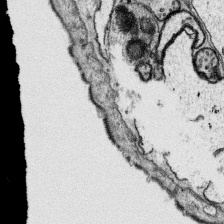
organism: Platynereis dumerilii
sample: Parapodia